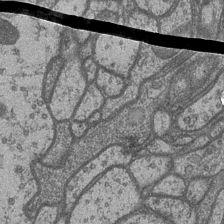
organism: Drosophila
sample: Optic medulla